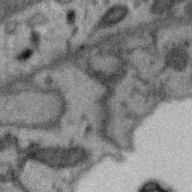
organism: Zebra finch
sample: Brain